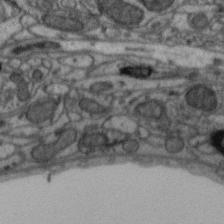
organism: Zebra finch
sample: Brain